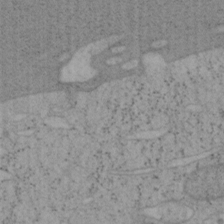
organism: Mouse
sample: OT-I killer T cells with ID8 ovarian cancer cells